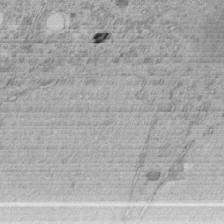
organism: C. elegans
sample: C. elegans embryo early stage